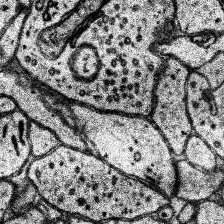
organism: Human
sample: Temporal Lobe